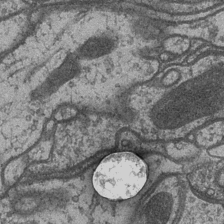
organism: Drosophila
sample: Optic medulla